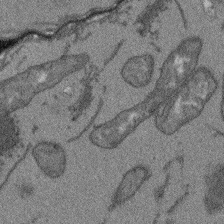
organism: Arabidopsis thaliana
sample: Root tip